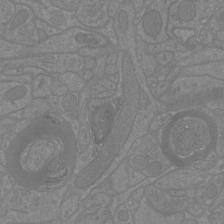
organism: Mouse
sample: Cortical neurons